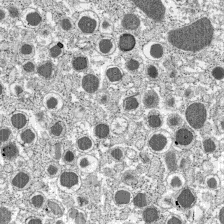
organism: C57BL Mouse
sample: Pancreatic islet